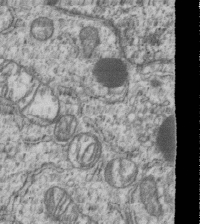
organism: Human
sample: MDA-MB-231 cells